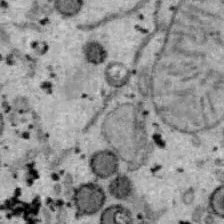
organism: Mouse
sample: Liver from an obese (ob/ob) mouse